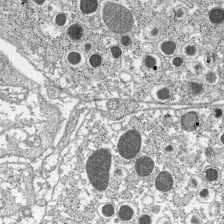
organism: C57BL Mouse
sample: Pancreatic islet